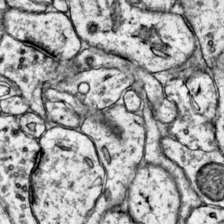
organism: Mouse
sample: Primary visual cortex